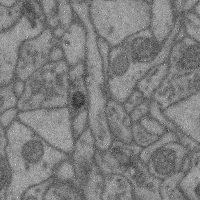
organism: Mouse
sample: Cerebral cortex